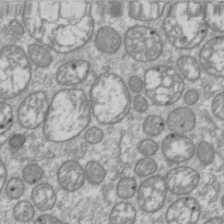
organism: Drosophila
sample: Cell division; meiosis; drosophila spermatocytes